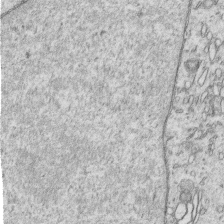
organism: Human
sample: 1205lu cells